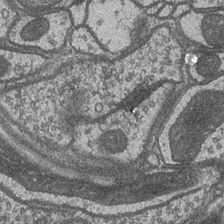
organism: Drosophila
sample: Optic medulla